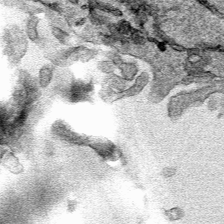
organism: Human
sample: Mitochondria in HCT116 cells